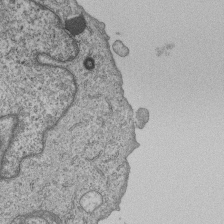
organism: Human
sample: MDA-MB-231 cells